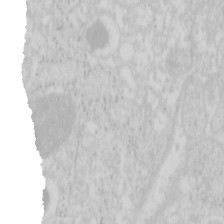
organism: Mouse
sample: Pancreas